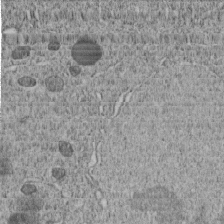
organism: C. elegans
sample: C. elegans embryo early stage